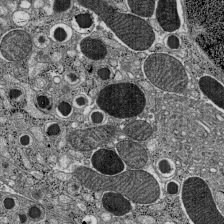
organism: C57BL Mouse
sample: Pancreatic islet